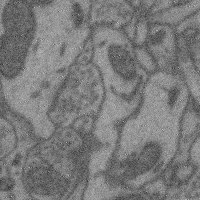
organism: Mouse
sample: Cerebral cortex